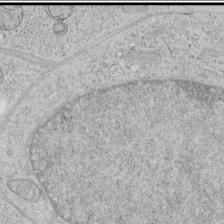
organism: Human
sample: Mitochondria in HCT116 cells